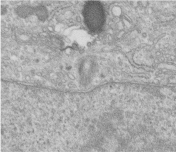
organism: Human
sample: Centriole in fibroblast cells